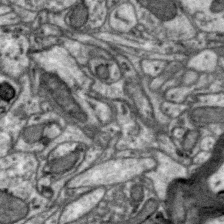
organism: Zebra finch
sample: Brain